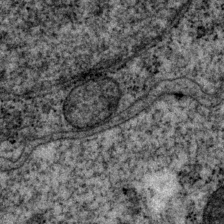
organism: P. pacificus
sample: Pharynx